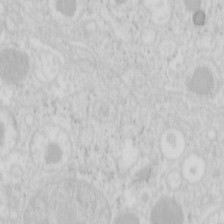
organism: Mouse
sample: Pancreas